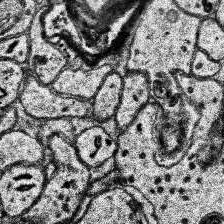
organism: Human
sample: Temporal Lobe